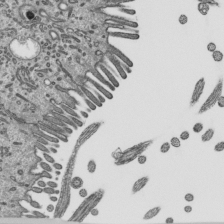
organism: Mouse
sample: Mouse epididymis efferent ductule cilia